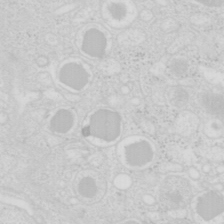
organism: Mouse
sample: Pancreas